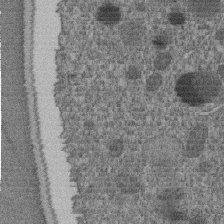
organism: C. elegans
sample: C. elegans embryo early stage